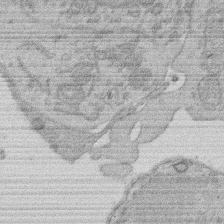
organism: Rat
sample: Salivary granule